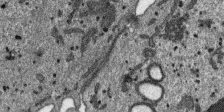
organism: Human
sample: Lung epithelial cells infected with SARS-CoV-2